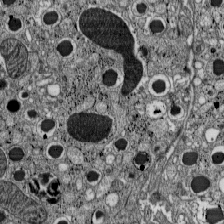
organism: C57BL Mouse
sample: Pancreatic islet